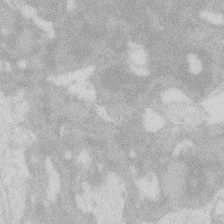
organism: Zebrafish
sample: Macrophage